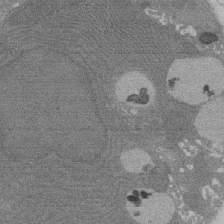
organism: Rat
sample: Salivary granule